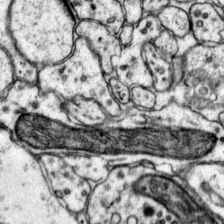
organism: Mouse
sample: Primary visual cortex